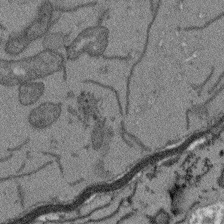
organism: Arabidopsis thaliana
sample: Root tip